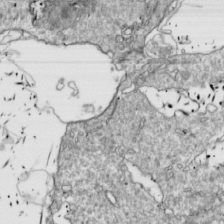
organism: Drosophila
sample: Cell division; meiosis; drosophila spermatocytes